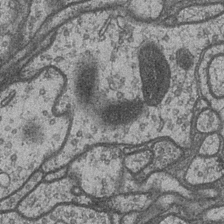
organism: Drosophila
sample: Optic medulla